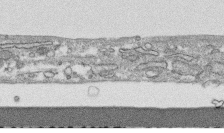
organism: Human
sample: CRL-1474